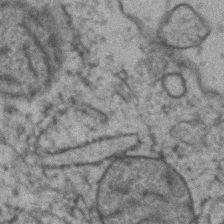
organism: Zebrafish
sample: Zebrafish embryo